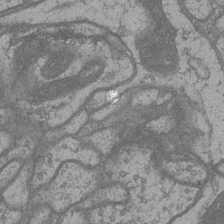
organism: Drosophila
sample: Optic medulla